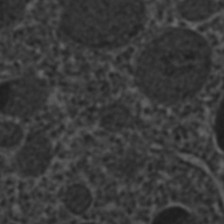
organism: C. elegans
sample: C. elegans embryo